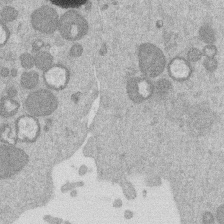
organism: Mouse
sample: Dividing mouse embryo 1 cell stage